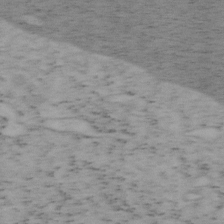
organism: Mouse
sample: OT-I killer T cells with ID8 ovarian cancer cells